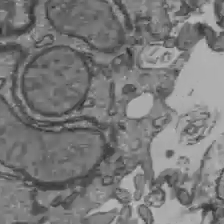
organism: C57BL Mouse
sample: Liver